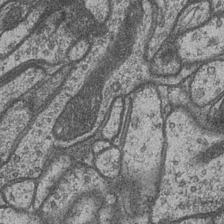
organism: Drosophila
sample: Optic medulla